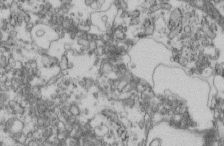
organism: Mouse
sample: Cilia; retinal pigment epithelium